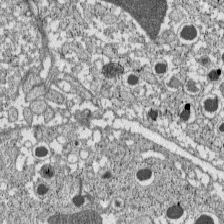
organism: C57BL Mouse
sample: Pancreatic islet